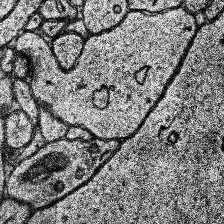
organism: Human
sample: Temporal Lobe